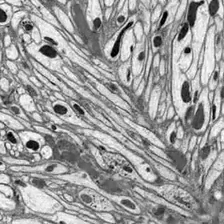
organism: Drosophila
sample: Optic lobe